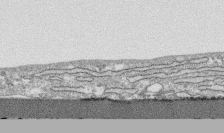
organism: Human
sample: CRL-1474